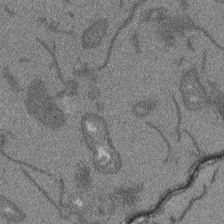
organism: Arabidopsis thaliana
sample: Root tip